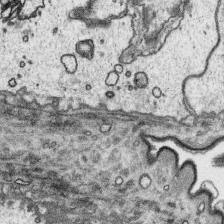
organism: Platynereis dumerilii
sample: Parapodia